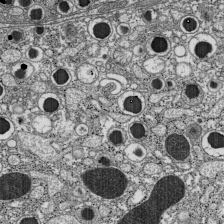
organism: C57BL Mouse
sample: Pancreatic islet